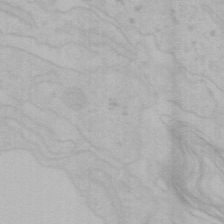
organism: Mouse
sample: Choroid plexus